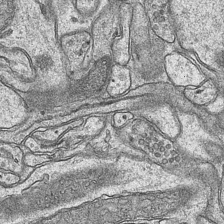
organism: Mouse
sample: CA1 Hippocampus